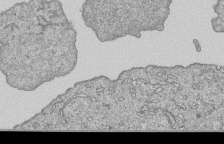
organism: Human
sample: MDA-MB-231 cells